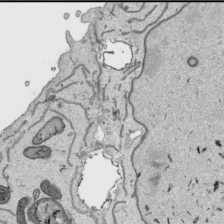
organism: Human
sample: Mitochondria in HCT116 cells